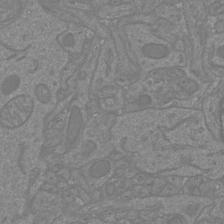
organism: Mouse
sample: Cortical neurons